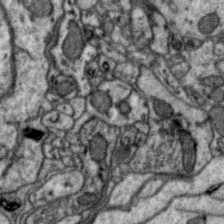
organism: Zebra finch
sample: Brain